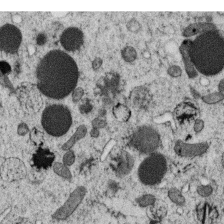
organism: C. elegans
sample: C. elegans oocyte; sperm cells